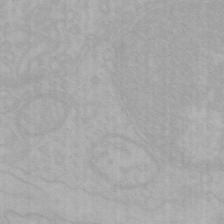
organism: Mouse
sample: Choroid plexus